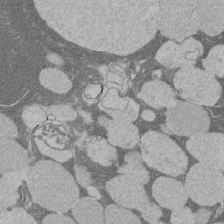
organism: Rat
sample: Salivary granule